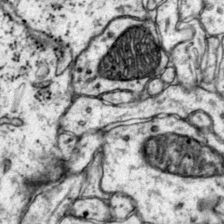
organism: Mouse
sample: Primary visual cortex